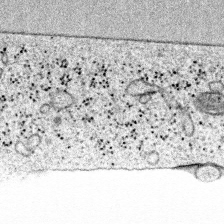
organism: Human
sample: HeLa cells